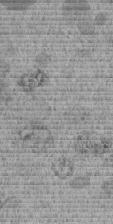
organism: C. elegans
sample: C. elegans embryo early stage